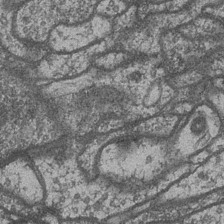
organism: Drosophila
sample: Optic medulla